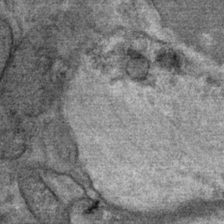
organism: Mouse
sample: Mouse Salivary gland